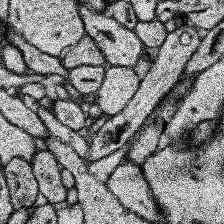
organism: Human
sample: Temporal Lobe